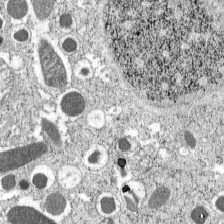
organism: C57BL Mouse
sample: Pancreatic islet